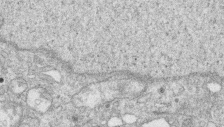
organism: Human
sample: HeLa cell HIV synapse